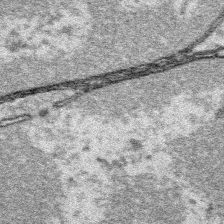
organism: Platynereis dumerilii